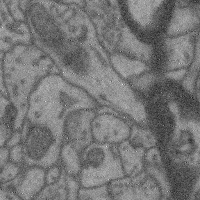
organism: Mouse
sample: Cerebral cortex